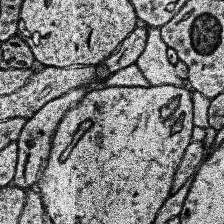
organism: Human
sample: Temporal Lobe